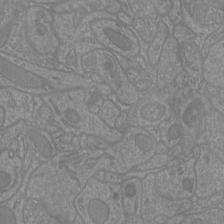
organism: Mouse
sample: Cortical neurons